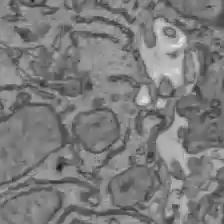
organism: C57BL Mouse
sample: Liver